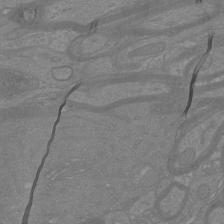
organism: Mouse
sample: Cortical neurons